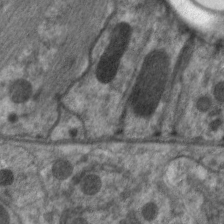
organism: C. elegans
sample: Pharynx